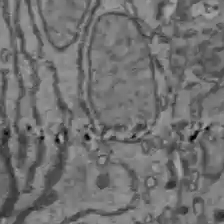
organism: C57BL Mouse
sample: Liver